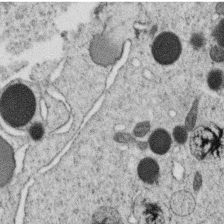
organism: C. elegans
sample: C. elegans oocyte; sperm cells